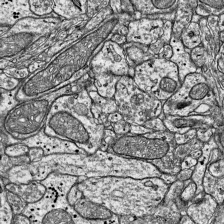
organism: Mouse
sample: Visual Cortex